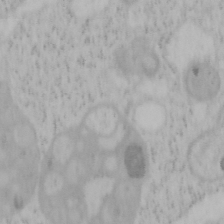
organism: Mouse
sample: OT-I killer T cells with ID8 ovarian cancer cells